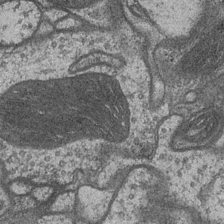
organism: Drosophila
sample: Optic medulla